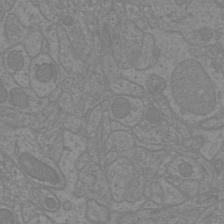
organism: Mouse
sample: Cortical neurons